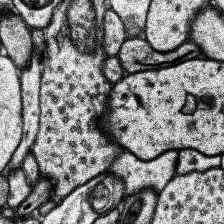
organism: Human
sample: Temporal Lobe